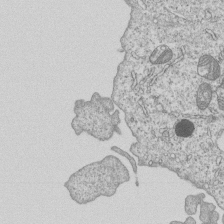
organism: Human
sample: MDA-MB-231 cells